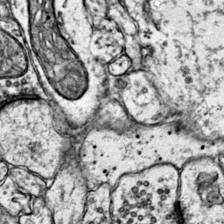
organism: Mouse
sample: Primary visual cortex